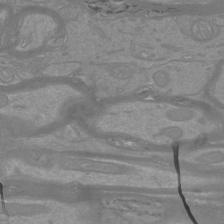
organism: Mouse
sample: Cortical neurons